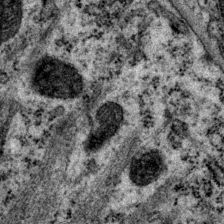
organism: P. pacificus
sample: Pharynx